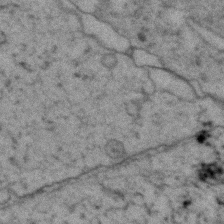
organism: Zebrafish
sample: Zebrafish embryo